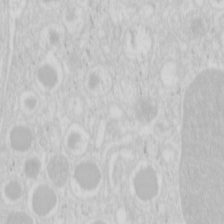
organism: Mouse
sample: Pancreas